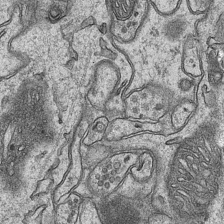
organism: Mouse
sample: CA1 Hippocampus